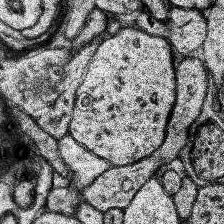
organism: Human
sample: Temporal Lobe